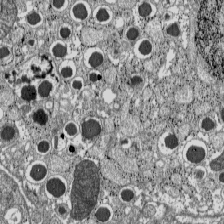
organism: C57BL Mouse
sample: Pancreatic islet